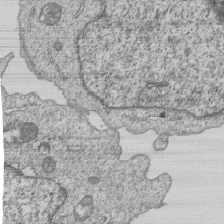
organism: Human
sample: MDA-MB-231 cells